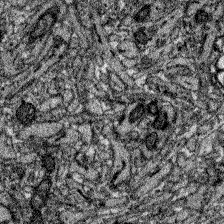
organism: Zebrafish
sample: Larval olfactory bulb